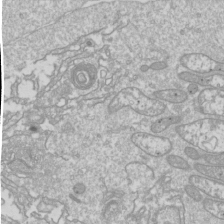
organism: Drosophila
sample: Cell division; meiosis; drosophila spermatocytes